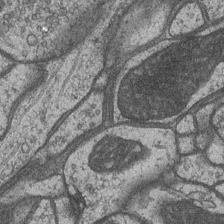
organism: Drosophila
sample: Optic medulla